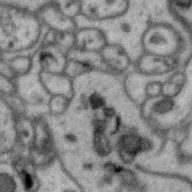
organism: Zebra finch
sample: Brain